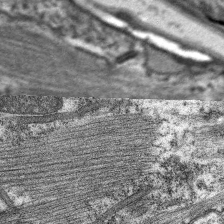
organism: C. elegans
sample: Pharynx